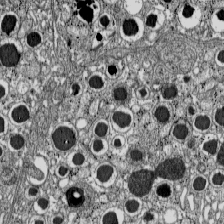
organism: C57BL Mouse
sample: Pancreatic islet